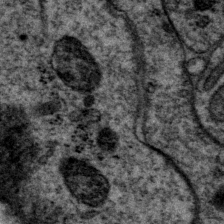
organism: P. pacificus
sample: Pharynx